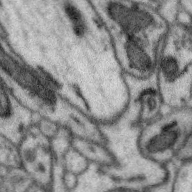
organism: Zebra finch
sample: Brain